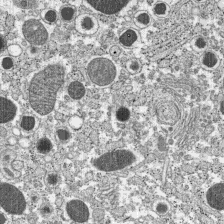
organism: C57BL Mouse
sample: Pancreatic islet